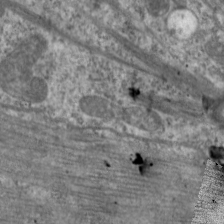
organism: C. elegans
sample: Pharynx